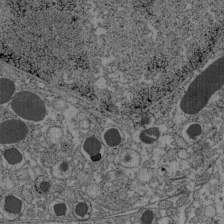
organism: C57BL Mouse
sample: Pancreatic islet